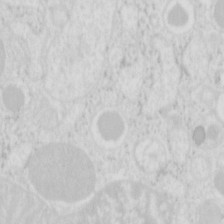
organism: Mouse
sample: Pancreas